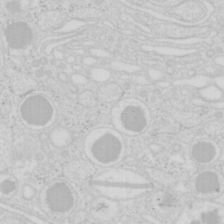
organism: Mouse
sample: Pancreas